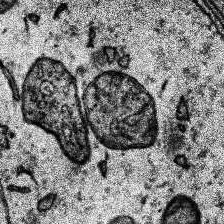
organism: Human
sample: Temporal Lobe